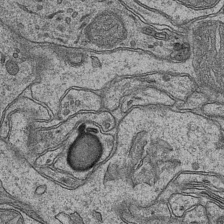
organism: Mouse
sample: CA1 Hippocampus